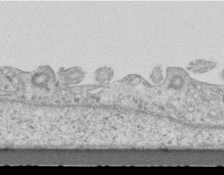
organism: Mouse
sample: Centriole in ependymal cells